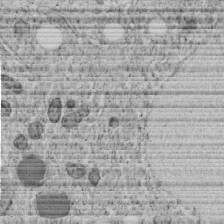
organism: C. elegans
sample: C. elegans embryo early stage